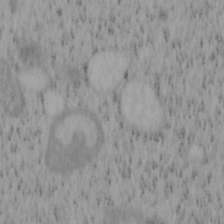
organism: Mouse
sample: OT-I killer T cells with ID8 ovarian cancer cells